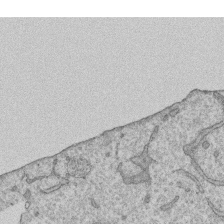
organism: Human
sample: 1205lu cells